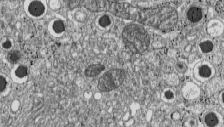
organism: C57BL Mouse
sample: Pancreatic islet